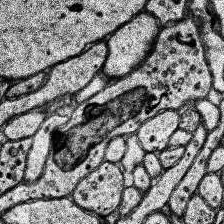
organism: Human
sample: Temporal Lobe